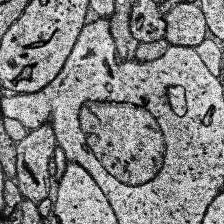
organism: Human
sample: Temporal Lobe